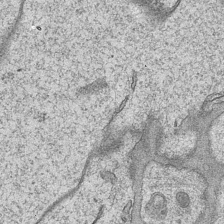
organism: Mouse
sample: CA1 Hippocampus